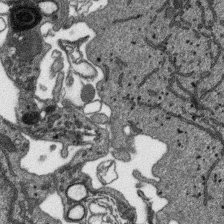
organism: Human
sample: Lung epithelial cells infected with SARS-CoV-2